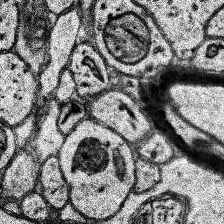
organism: Human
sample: Temporal Lobe